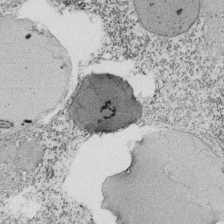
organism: Tetrahymena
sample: Cilia in tetrahymena